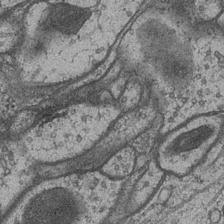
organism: Drosophila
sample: Optic medulla